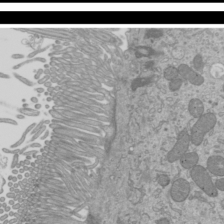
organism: Mouse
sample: Cilia; mouse epididymis